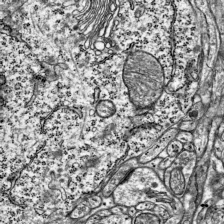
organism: Mouse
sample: Visual Cortex